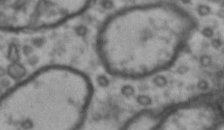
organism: Drosophila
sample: Brain